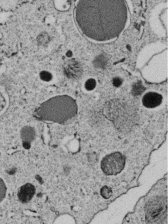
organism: C. elegans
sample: C. elegans embryo early stage